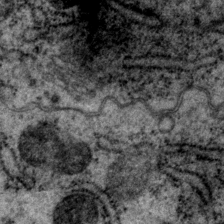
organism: P. pacificus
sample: Pharynx